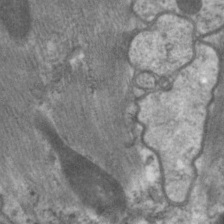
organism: C. elegans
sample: Pharynx